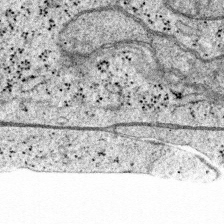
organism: Human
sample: HeLa cells